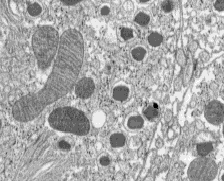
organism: C57BL Mouse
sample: Pancreatic islet